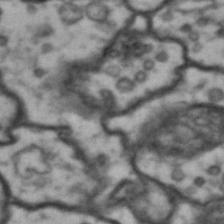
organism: Drosophila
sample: Brain